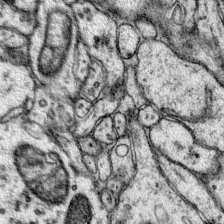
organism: Mouse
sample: Primary visual cortex